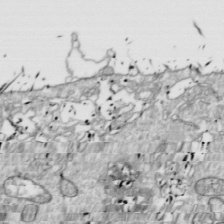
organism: Drosophila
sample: Cell division; meiosis; drosophila spermatocytes